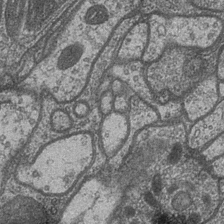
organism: Drosophila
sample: Optic medulla